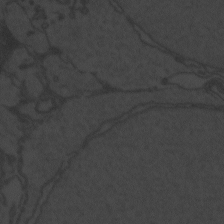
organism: Zebrafish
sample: Macrophage infected with Toxoplasma gondii